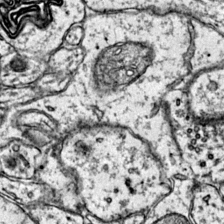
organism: Mouse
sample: Primary visual cortex